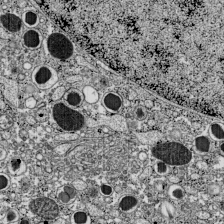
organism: C57BL Mouse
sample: Pancreatic islet